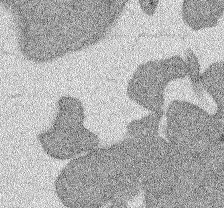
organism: Human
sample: HeLa cells